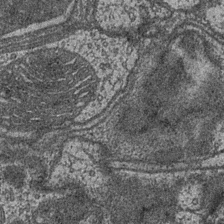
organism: Drosophila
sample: Optic medulla